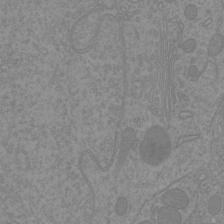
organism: Mouse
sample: Cortical neurons